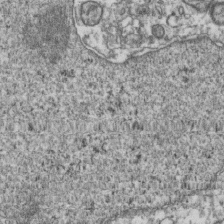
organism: Human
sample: Activated Jurkat CD4+ T cells